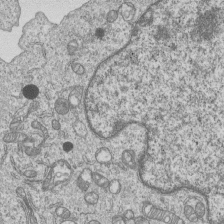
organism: Human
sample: MDA-MB-231 cells